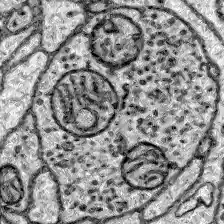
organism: Zebrafish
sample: Brain